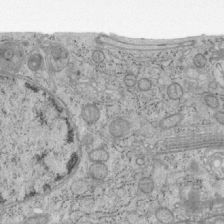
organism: Human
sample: HeLa cells